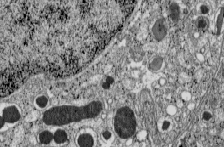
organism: C57BL Mouse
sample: Pancreatic islet